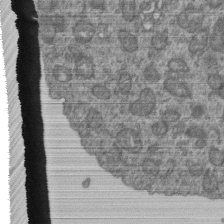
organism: Human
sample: Retinal organoid Rod and Cone cells